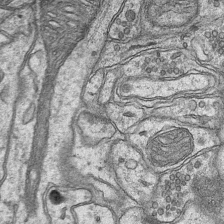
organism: Mouse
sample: CA1 Hippocampus